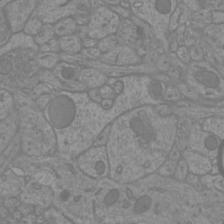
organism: Mouse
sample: Cortical neurons